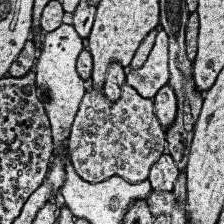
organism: Human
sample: Temporal Lobe